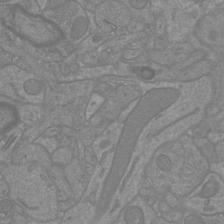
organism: Mouse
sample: Cortical neurons